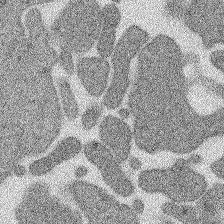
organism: Human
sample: HeLa cells